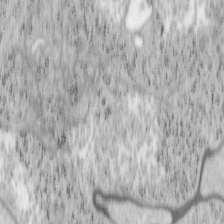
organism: Human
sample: HeLa cells